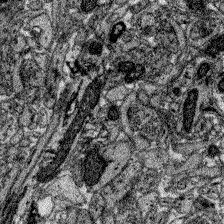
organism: Zebrafish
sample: Larval olfactory bulb